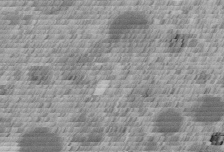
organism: C. elegans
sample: C. elegans embryo early stage